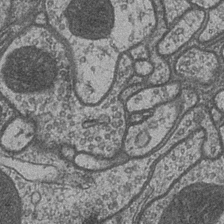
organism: Drosophila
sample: Optic medulla